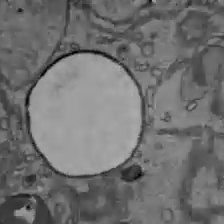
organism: C57BL Mouse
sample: Liver